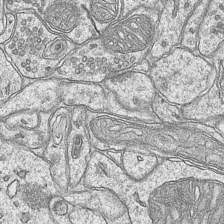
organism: Mouse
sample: CA1 Hippocampus